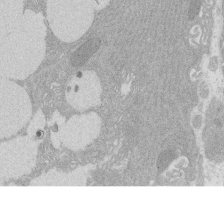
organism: Rat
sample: Salivary granule